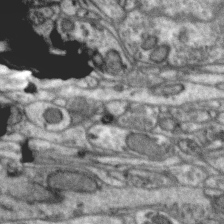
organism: Zebra finch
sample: Brain